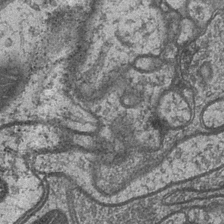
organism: Drosophila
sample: Optic medulla